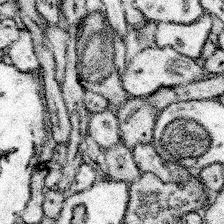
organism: Mouse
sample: Somatosensory cortex neuropil